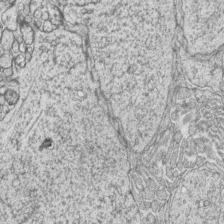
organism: Zebrafish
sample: synaptic ribbons in rod cells and cone cells